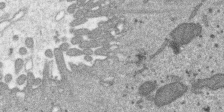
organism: Human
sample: Lung epithelial cells infected with SARS-CoV-2